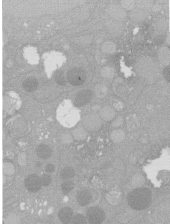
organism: C. elegans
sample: C. elegans oocyte; sperm cells